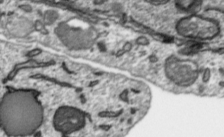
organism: Toxoplasma gondii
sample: Parasites in a vacuole inside a host cell